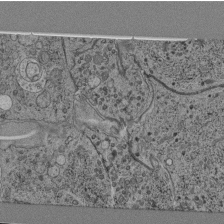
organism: C. elegans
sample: C. elegans pharynx